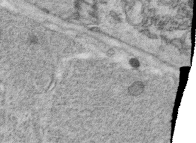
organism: C. elegans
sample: C. elegans oocyte; sperm cells